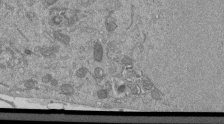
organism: Mouse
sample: ED-1 cell nuclei; centrioles